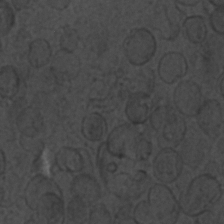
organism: C. elegans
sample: C. elegans embryo